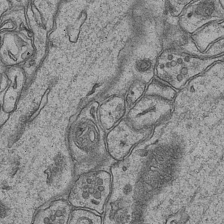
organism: Mouse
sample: CA1 Hippocampus